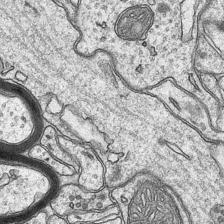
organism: Mouse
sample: CA1 Hippocampus